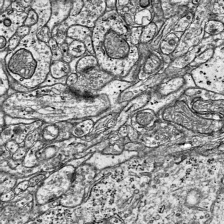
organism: Mouse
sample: Visual Cortex